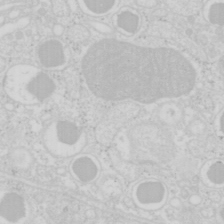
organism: Mouse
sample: Pancreas